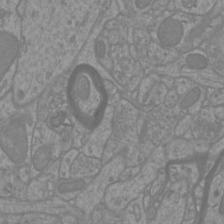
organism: Mouse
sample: Cortical neurons